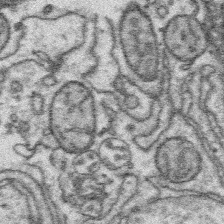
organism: Platynereis dumerilii